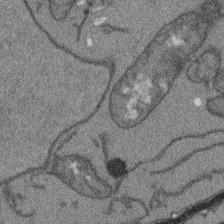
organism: Arabidopsis thaliana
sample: Root tip